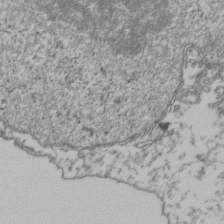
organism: Human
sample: Activated Jurkat CD4+ T cells